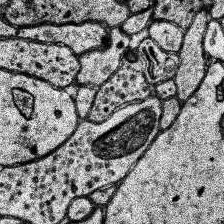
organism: Human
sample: Temporal Lobe